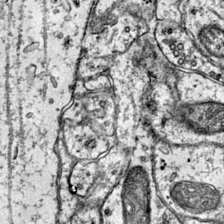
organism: Mouse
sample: Primary visual cortex